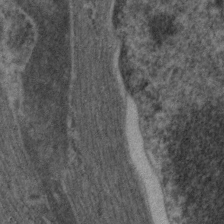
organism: C. elegans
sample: Pharynx